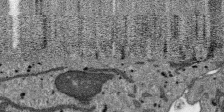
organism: Human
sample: Lung epithelial cells, uninfected (mock) control